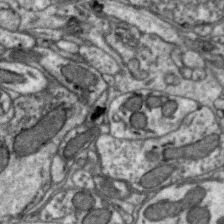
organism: Zebra finch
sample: Brain